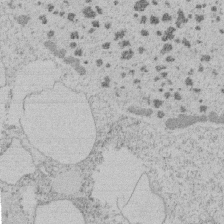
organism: Tetrahymena